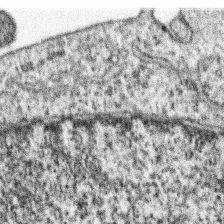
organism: Human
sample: HeLa cells